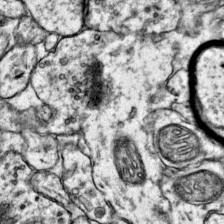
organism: Mouse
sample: Primary visual cortex